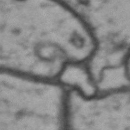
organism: Drosophila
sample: Brain